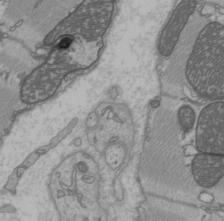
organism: C57BL Mouse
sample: Heart